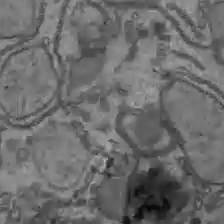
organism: C57BL Mouse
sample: Liver